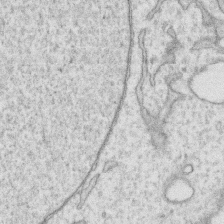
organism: Human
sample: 1205lu cells